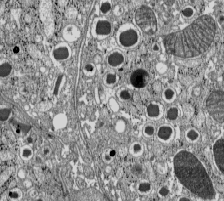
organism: C57BL Mouse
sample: Pancreatic islet